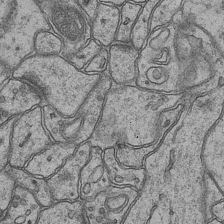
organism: Mouse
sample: CA1 Hippocampus